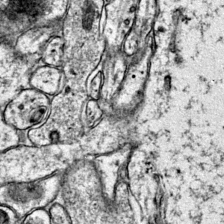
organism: Mouse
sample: Primary visual cortex